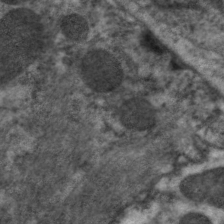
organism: C. elegans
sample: Pharynx